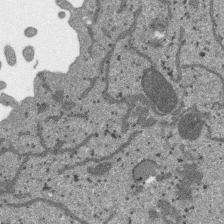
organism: Human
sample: Lung epithelial cells infected with SARS-CoV-2